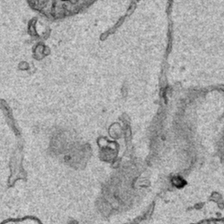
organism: Human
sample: Mitochondria in HCT116 cells